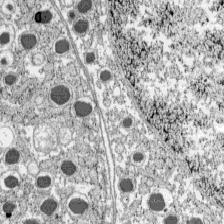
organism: C57BL Mouse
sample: Pancreatic islet